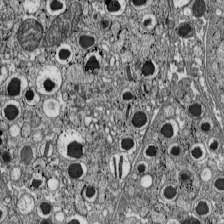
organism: C57BL Mouse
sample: Pancreatic islet